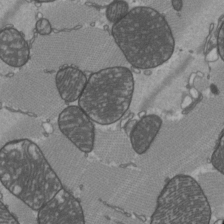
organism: C57BL Mouse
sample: Heart